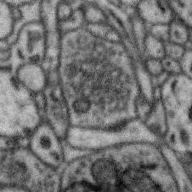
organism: Zebra finch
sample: Brain